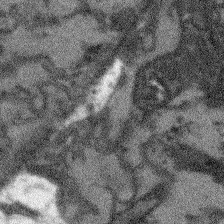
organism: Arabidopsis thaliana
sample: Root tip